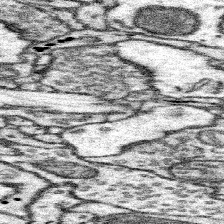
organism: Mouse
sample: Somatosensory cortex neuropil